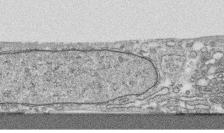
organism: Human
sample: CRL-1474